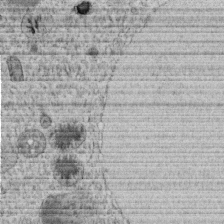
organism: C. elegans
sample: C. elegans embryo early stage